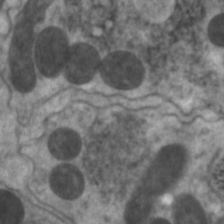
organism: C. elegans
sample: Pharynx